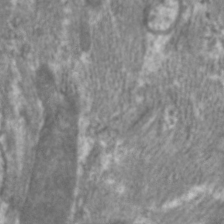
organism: C. elegans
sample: Pharynx